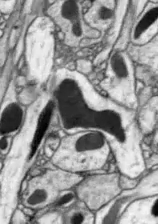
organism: Drosophila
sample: Optic lobe